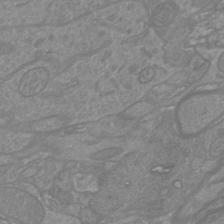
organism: Mouse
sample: Cortical neurons